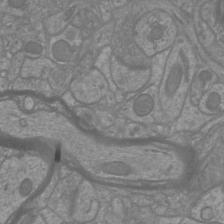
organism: Mouse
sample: Cortical neurons